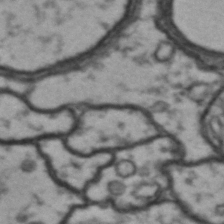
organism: Drosophila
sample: Brain